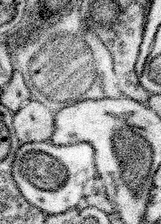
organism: Mouse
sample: Somatosensory cortex neuropil